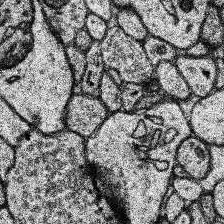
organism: Human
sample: Temporal Lobe